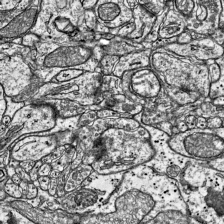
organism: Mouse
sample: Visual Cortex